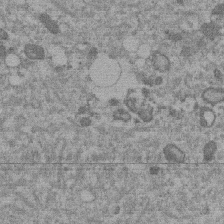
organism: Mouse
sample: Dividing mouse embryo 1 cell stage